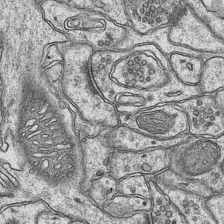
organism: Mouse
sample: CA1 Hippocampus